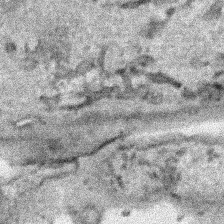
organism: Human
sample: Mitochondria in HCT116 cells